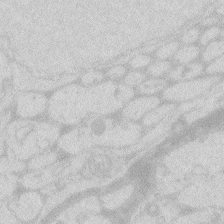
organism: Zebrafish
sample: Macrophage